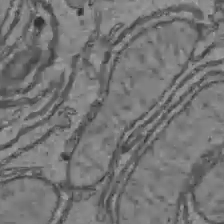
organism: C57BL Mouse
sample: Liver